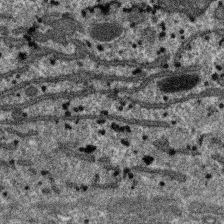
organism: Human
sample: Lung epithelial cells infected with SARS-CoV-2